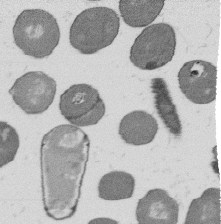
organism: B. subtilis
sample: Bacterial spore